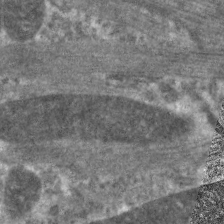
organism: C. elegans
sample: Pharynx